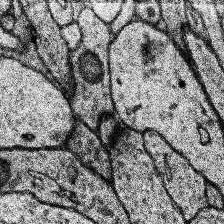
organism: Human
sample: Temporal Lobe